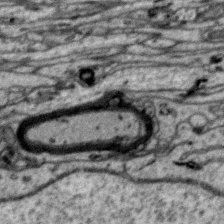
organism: Zebra finch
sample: Brain